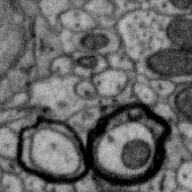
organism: Zebra finch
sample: Brain